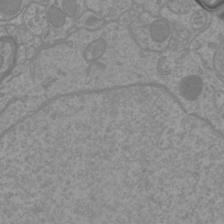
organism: Mouse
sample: Cortical neurons